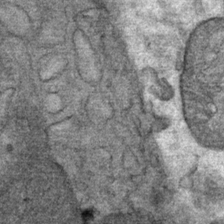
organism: Mouse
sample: Mouse Salivary gland